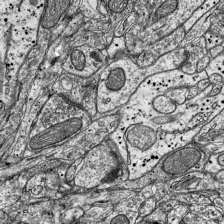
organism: Mouse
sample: Visual Cortex